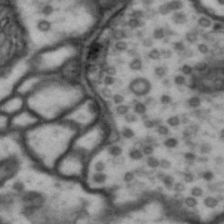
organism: Drosophila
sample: Brain